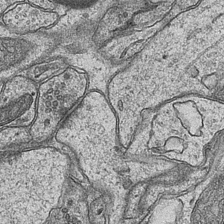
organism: Mouse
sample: CA1 Hippocampus